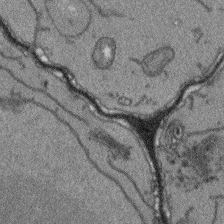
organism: Arabidopsis thaliana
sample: Root tip